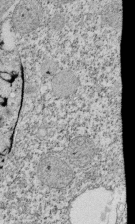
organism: Tetrahymena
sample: Cilia in tetrahymena